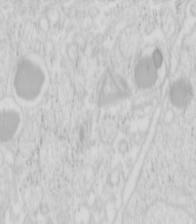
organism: Mouse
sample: Pancreas